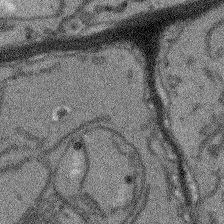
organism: Arabidopsis thaliana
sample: Root tip